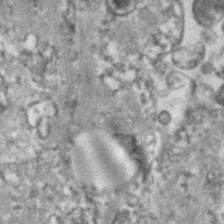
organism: Human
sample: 1205lu cells